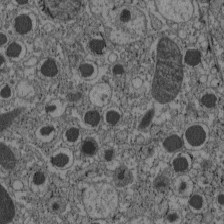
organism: C57BL Mouse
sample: Pancreatic islet